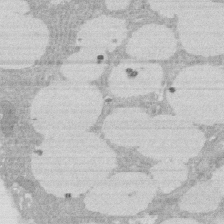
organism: Rat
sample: Salivary granule